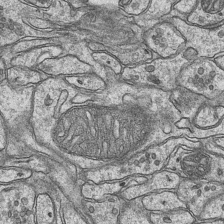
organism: Mouse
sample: CA1 Hippocampus